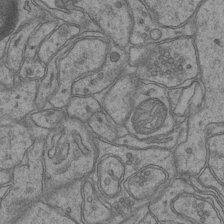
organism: Mouse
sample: CA1 Hippocampus